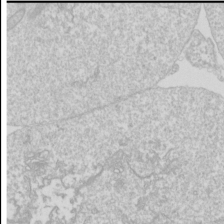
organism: Drosophila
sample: Cell division; meiosis; drosophila spermatocytes